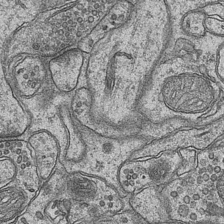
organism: Mouse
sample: CA1 Hippocampus